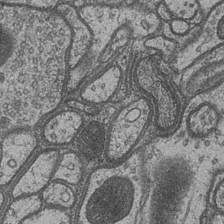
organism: Drosophila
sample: Optic medulla